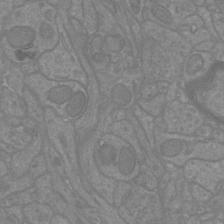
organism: Mouse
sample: Cortical neurons